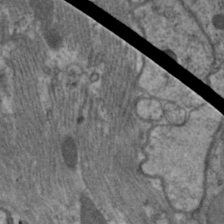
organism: C. elegans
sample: Pharynx